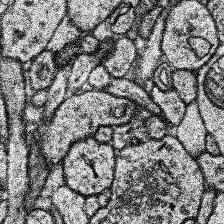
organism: Human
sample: Temporal Lobe